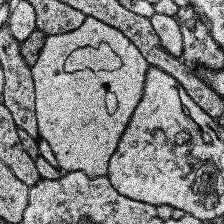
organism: Human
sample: Temporal Lobe